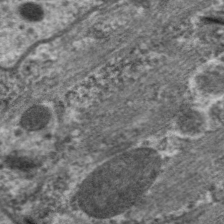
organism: C. elegans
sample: Pharynx